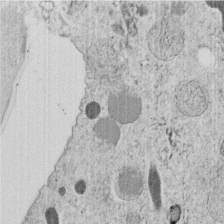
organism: C. elegans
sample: C. elegans embryo early stage